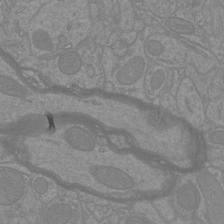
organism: Mouse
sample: Cortical neurons